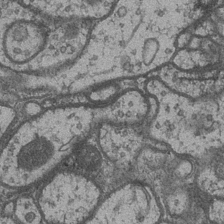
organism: Drosophila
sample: Optic medulla